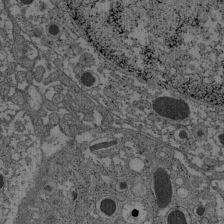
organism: C57BL Mouse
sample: Pancreatic islet